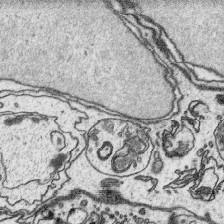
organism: Platynereis dumerilii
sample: Parapodia